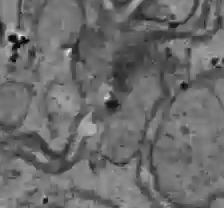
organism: C57BL Mouse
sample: Liver